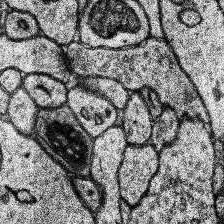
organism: Human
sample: Temporal Lobe